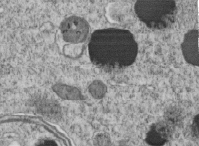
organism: C. elegans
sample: C. elegans embryo early stage